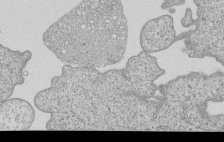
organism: Human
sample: MDA-MB-231 cells